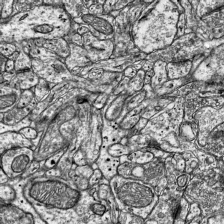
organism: Mouse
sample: Visual Cortex